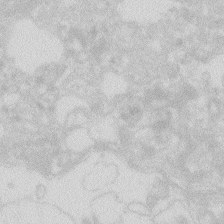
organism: Zebrafish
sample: Macrophage